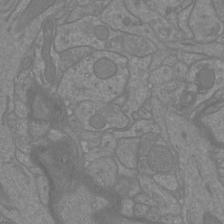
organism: Mouse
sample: Cortical neurons